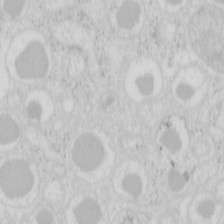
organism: Mouse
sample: Pancreas